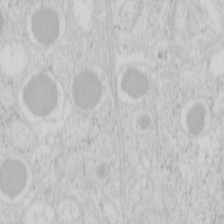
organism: Mouse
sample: Pancreas